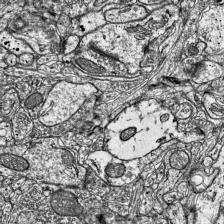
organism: Mouse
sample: Visual Cortex